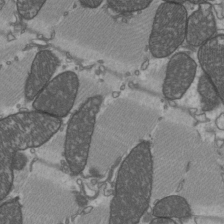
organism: C57BL Mouse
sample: Heart